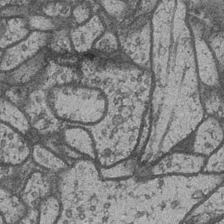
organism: Drosophila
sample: Optic medulla